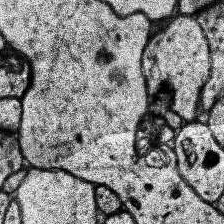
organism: Human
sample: Temporal Lobe